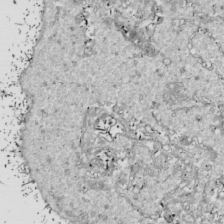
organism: Drosophila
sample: Cell division; meiosis; drosophila spermatocytes